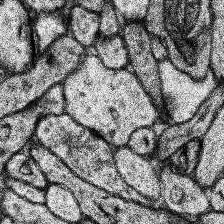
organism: Human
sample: Temporal Lobe